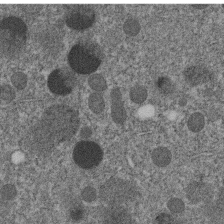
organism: C. elegans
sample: C. elegans embryo early stage